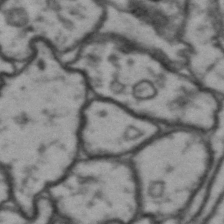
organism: Drosophila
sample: Brain